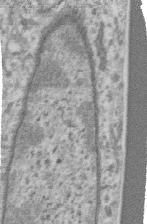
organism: Human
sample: Centriole in RPE cells